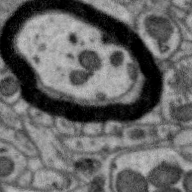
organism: Zebra finch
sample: Brain